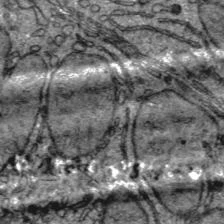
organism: C57BL Mouse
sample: Liver